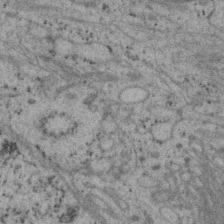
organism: Human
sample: HeLa cells